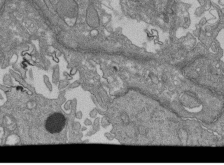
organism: Human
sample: Retinal organoid Rod and Cone cells